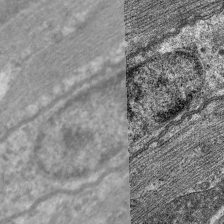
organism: C. elegans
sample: Pharynx